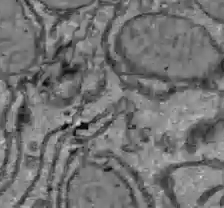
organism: C57BL Mouse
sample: Liver